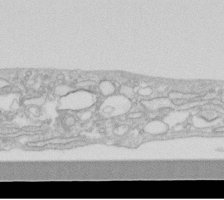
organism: Human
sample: Fibroblast cells